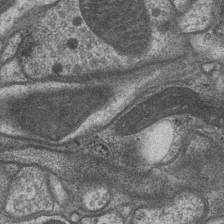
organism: Drosophila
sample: Optic medulla